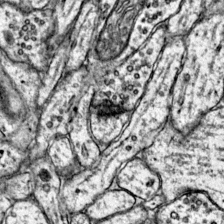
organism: Mouse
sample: Primary visual cortex